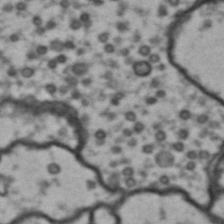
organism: Drosophila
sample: Brain